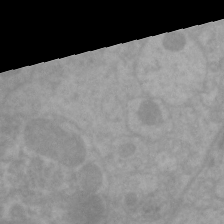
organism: C. elegans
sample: Pharynx